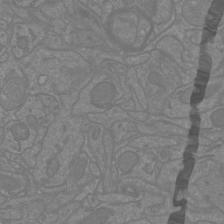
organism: Mouse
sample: Cortical neurons